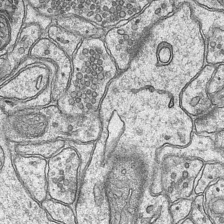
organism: Mouse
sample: CA1 Hippocampus